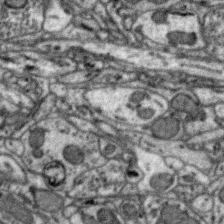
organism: Zebra finch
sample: Brain